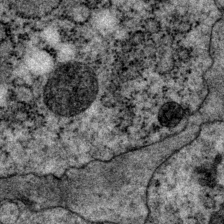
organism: P. pacificus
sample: Pharynx